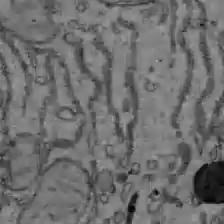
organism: C57BL Mouse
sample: Liver